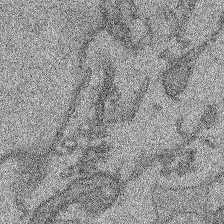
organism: Human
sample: HeLa cells